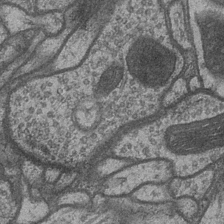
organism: Drosophila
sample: Optic medulla